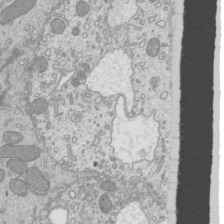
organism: Mouse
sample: Cilia; mouse epididymis